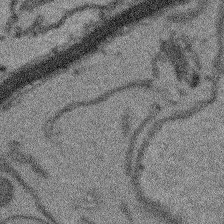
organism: Arabidopsis thaliana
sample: Root tip